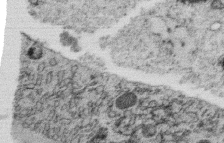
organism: C. elegans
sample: C. elegans oocyte; sperm cells